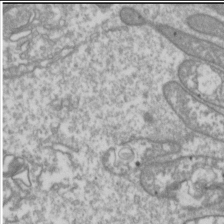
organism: Drosophila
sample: Cell division; meiosis; drosophila spermatocytes